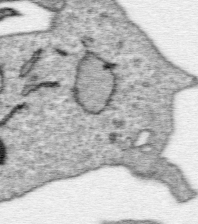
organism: Human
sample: HeLa cells